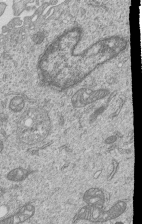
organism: Human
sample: MDA-MB-231 cells